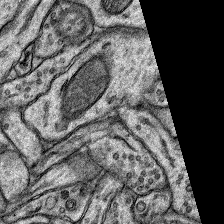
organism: Rat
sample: Hippocampus